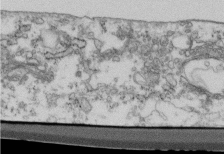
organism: Mouse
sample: Cilia; retinal pigment epithelium